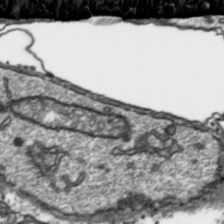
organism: Toxoplasma gondii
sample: Parasites in a vacuole inside a host cell